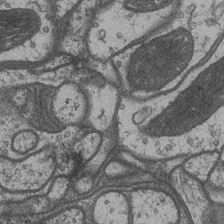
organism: Drosophila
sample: Optic medulla